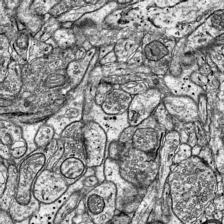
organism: Mouse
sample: Visual Cortex